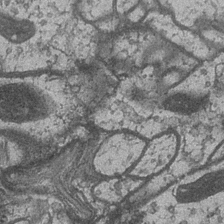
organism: Drosophila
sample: Optic medulla